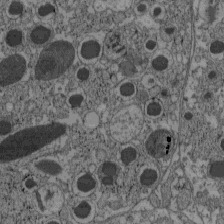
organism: C57BL Mouse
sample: Pancreatic islet